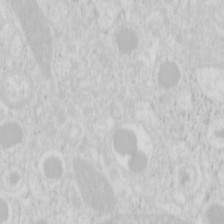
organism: Mouse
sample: Pancreas